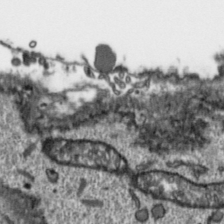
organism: Toxoplasma gondii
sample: Parasites in a vacuole inside a host cell